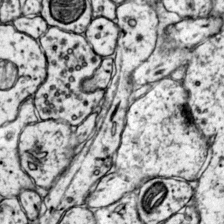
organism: Mouse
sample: Primary visual cortex